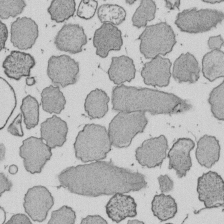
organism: E. coli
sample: Bacterial nucleoid